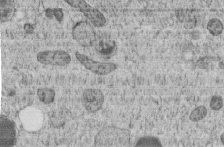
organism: C. elegans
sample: C. elegans embryo early stage